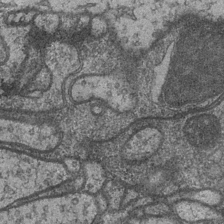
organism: Drosophila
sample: Optic medulla